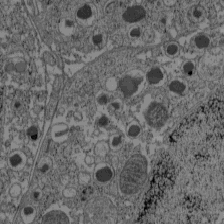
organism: C57BL Mouse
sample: Pancreatic islet